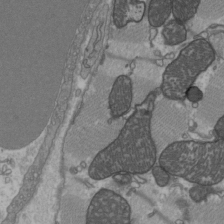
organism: C57BL Mouse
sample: Heart